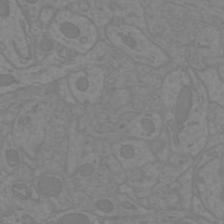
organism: Mouse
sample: Cortical neurons